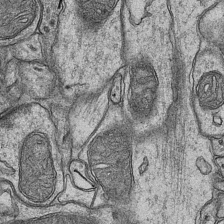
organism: Mouse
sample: CA1 Hippocampus